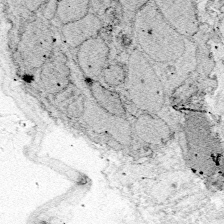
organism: Zebrafish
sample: Whole-Brain